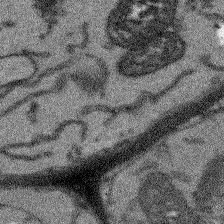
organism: Arabidopsis thaliana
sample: Root tip